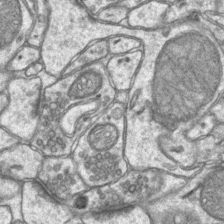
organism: Mouse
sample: CA1 Hippocampus